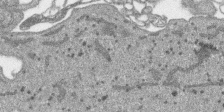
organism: Human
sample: Lung epithelial cells infected with SARS-CoV-2